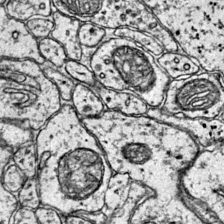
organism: Mouse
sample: Primary visual cortex